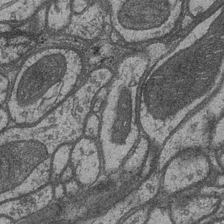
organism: Drosophila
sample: Optic medulla